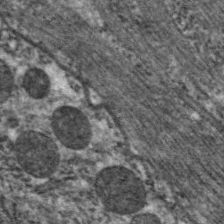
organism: C. elegans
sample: Pharynx